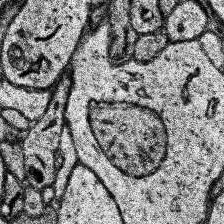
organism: Human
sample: Temporal Lobe